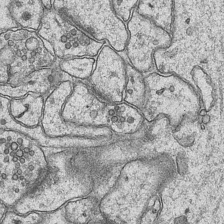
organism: Mouse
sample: CA1 Hippocampus